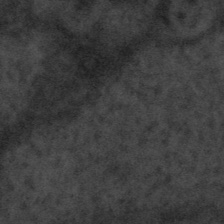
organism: Tuwongella immobilis